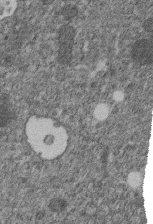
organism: C. elegans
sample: C. elegans embryo early stage